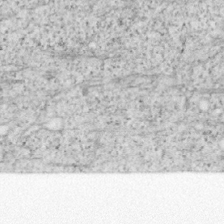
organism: Mouse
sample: OT-I killer T cells with ID8 ovarian cancer cells